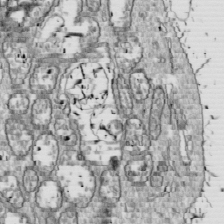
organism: Drosophila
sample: Cell division; meiosis; drosophila spermatocytes